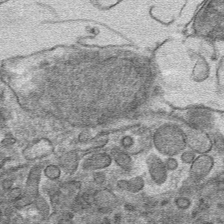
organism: Mouse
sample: Mouse hepatocytes